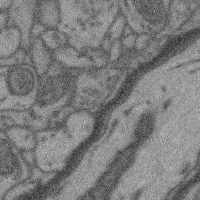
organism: Mouse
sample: Cerebral cortex